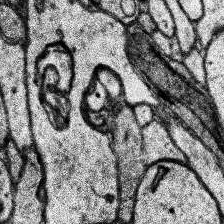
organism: Human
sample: Temporal Lobe